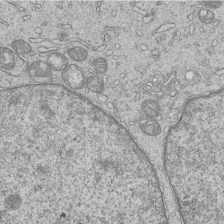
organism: Human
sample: MDA-MB-231 cells